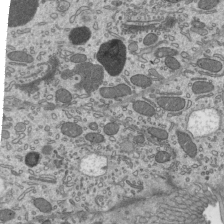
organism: Mouse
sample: Mouse epididymis efferent ductule cilia